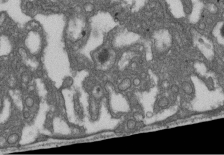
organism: Drosophila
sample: Nephrocyte